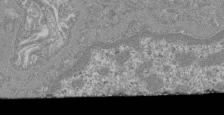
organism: Mouse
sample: Glomerulus